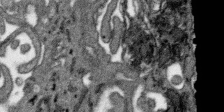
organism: Human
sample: Lung epithelial cells, uninfected (mock) control